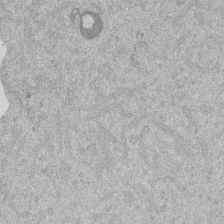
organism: Mouse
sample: Dividing mouse embryo 1 cell stage